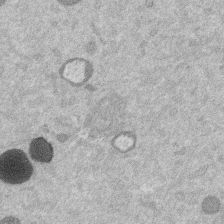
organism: Mouse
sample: Dividing mouse embryo 1 cell stage